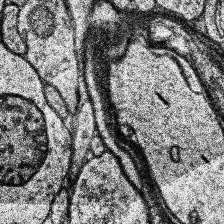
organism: Human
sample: Temporal Lobe